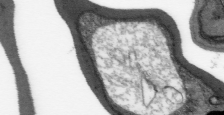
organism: Plasmodium falciparum